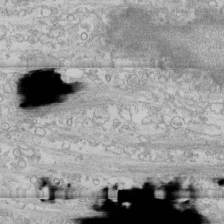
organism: Human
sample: CRL-1474